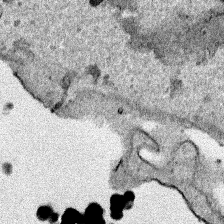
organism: Human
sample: Mitochondria in HCT116 cells